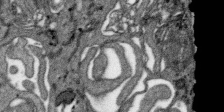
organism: Human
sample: Lung epithelial cells, uninfected (mock) control